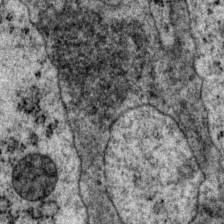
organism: P. pacificus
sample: Pharynx